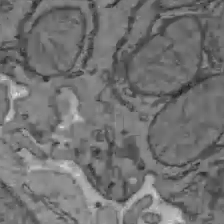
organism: C57BL Mouse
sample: Liver